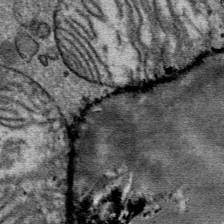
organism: Mouse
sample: Mouse Salivary gland